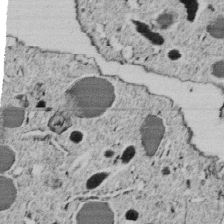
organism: C. elegans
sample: C. elegans embryo early stage